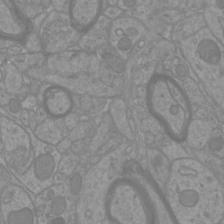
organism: Mouse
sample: Cortical neurons